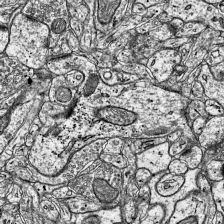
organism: Mouse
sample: Visual Cortex